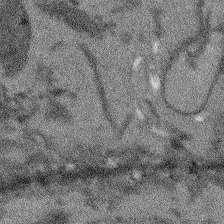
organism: Arabidopsis thaliana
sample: Root tip